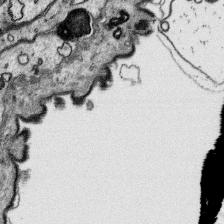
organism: Platynereis dumerilii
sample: Parapodia